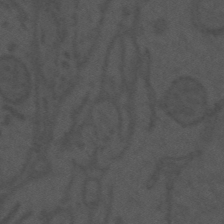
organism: Mouse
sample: Suprachiasmatic nucleus